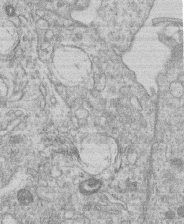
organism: Human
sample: Macrophage cells